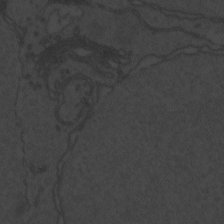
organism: Zebrafish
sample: Macrophage infected with Toxoplasma gondii